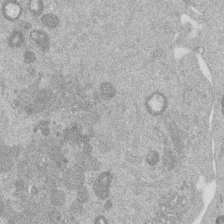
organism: Mouse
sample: Dividing mouse embryo 1 cell stage